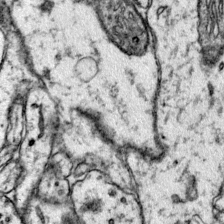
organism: Mouse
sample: Primary visual cortex